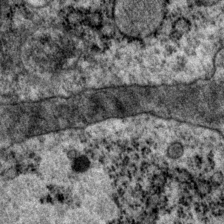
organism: P. pacificus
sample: Pharynx